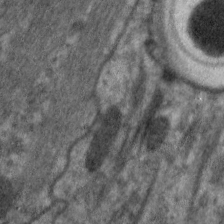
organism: C. elegans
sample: Pharynx